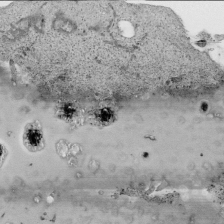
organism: Human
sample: Mitochondria in HCT116 cells